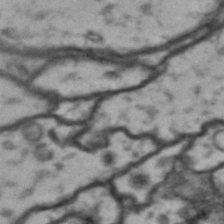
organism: Drosophila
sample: Brain